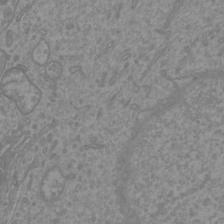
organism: Mouse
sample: Cortical neurons